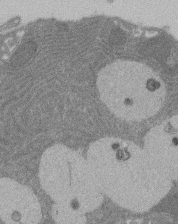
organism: Rat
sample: Salivary granule